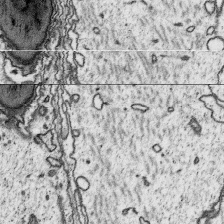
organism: Platynereis dumerilii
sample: Parapodia